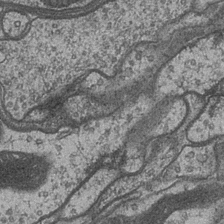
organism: Drosophila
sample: Optic medulla